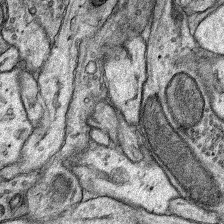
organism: Rat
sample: Hippocampus